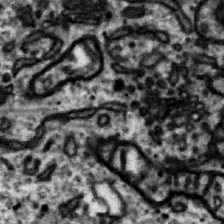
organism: Human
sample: HeLa cells